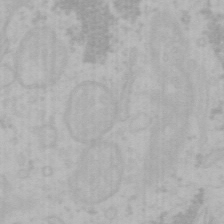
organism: Mouse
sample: Choroid plexus